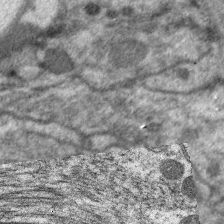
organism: C. elegans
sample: Pharynx